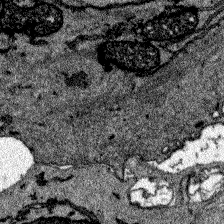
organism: Zebrafish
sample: Larval olfactory bulb